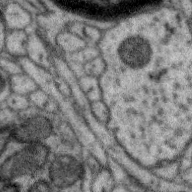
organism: Zebra finch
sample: Brain